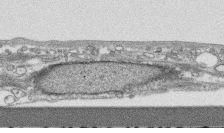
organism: Human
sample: CRL-1474